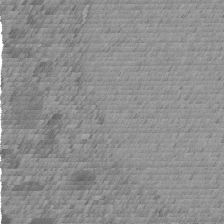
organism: C. elegans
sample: C. elegans embryo early stage